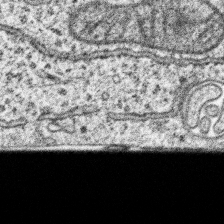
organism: Human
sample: HeLa cells